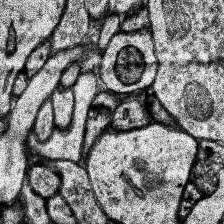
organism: Human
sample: Temporal Lobe